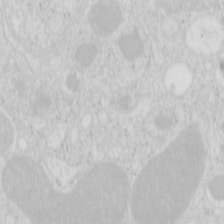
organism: Mouse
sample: Pancreas